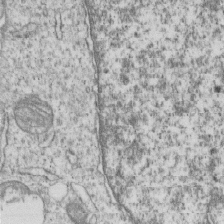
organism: Human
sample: MDA-MB-231 cells